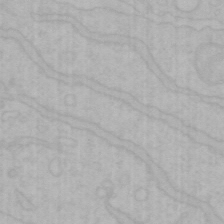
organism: Mouse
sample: Choroid plexus